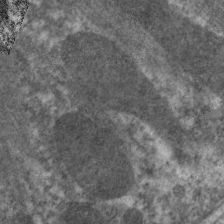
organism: C. elegans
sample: Pharynx